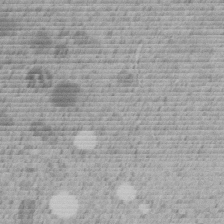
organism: C. elegans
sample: C. elegans embryo early stage